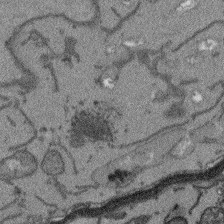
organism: Arabidopsis thaliana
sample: Root tip